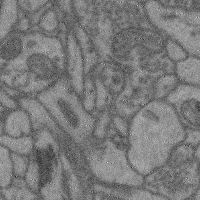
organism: Mouse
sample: Cerebral cortex